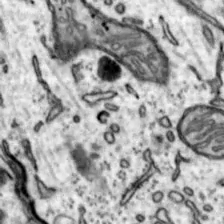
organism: Mouse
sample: Nucleus accumbens